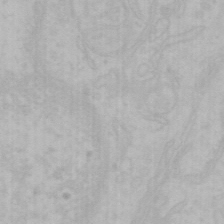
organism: Mouse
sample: Choroid plexus